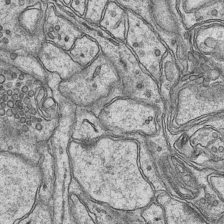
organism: Mouse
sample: CA1 Hippocampus